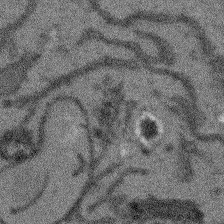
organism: Arabidopsis thaliana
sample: Root tip